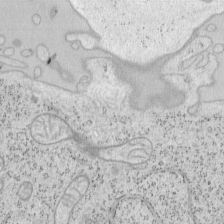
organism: Mouse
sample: OT-I killer T cells with ID8 ovarian cancer cells